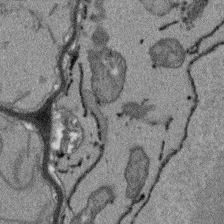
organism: Arabidopsis thaliana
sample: Root tip